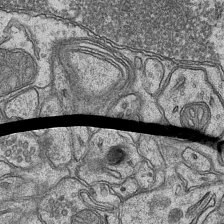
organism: Mouse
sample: CA1 Hippocampus